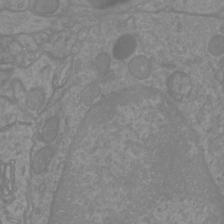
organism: Mouse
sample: Cortical neurons